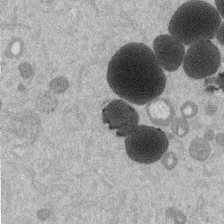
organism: Mouse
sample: Dividing mouse embryo 1 cell stage